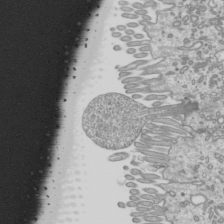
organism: Mouse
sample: Cilia; mouse epididymis